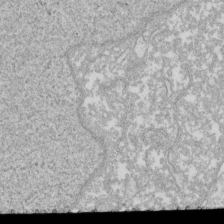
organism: Xenopus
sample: Cilia; centrioles in frog embryo cells